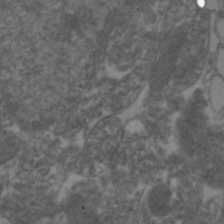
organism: Zebrafish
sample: Zebrafish embryo